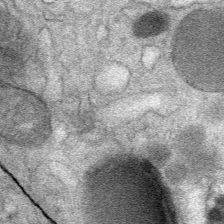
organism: Mouse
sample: Mouse Salivary gland